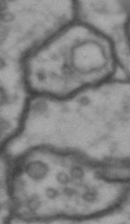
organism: Drosophila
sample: Brain